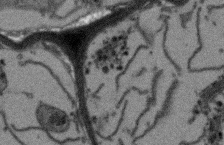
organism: Arabidopsis thaliana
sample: Root tip